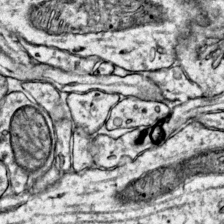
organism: Mouse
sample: Primary visual cortex